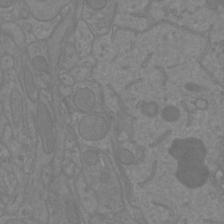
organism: Mouse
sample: Cortical neurons